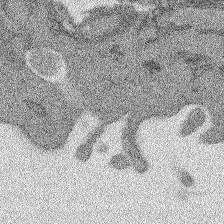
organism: Human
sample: HeLa cells